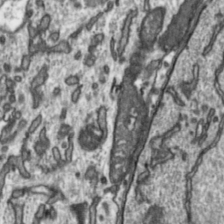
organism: Toxoplasma gondii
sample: Parasites in a vacuole inside a host cell